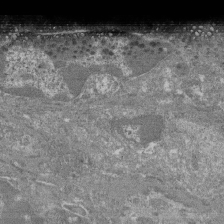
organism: Mouse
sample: Glomerulus